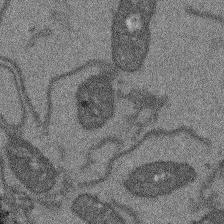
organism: Arabidopsis thaliana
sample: Root tip